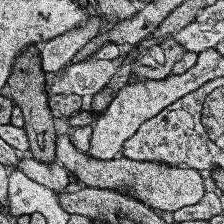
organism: Human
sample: Temporal Lobe